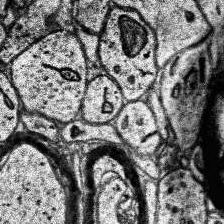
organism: Human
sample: Temporal Lobe